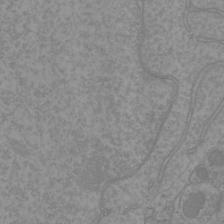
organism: Mouse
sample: Cortical neurons